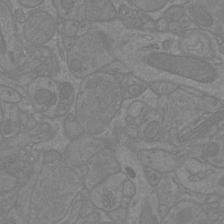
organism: Mouse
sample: Cortical neurons